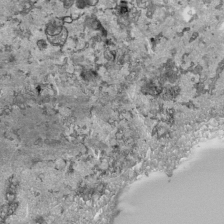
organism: Human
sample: Mitochondria in HCT116 cells